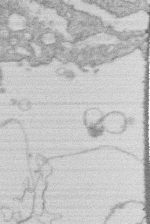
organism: Human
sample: Macrophage cells